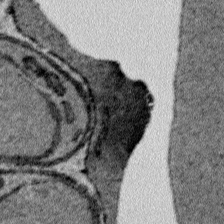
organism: Plasmodium falciparum